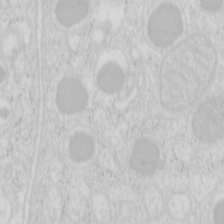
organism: Mouse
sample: Pancreas